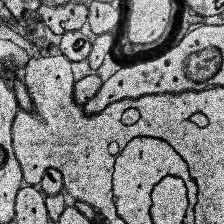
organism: Human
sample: Temporal Lobe